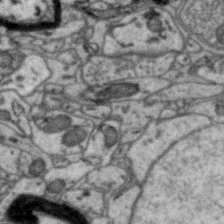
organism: Zebra finch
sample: Brain